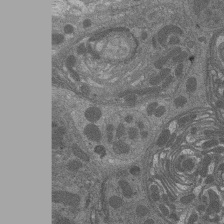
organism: Drosophila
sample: Antenna